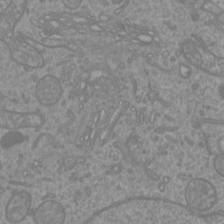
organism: Mouse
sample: Cortical neurons